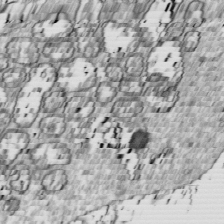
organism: Drosophila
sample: Cell division; meiosis; drosophila spermatocytes